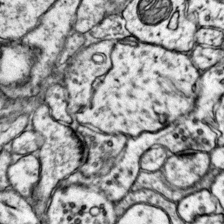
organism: Mouse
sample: Primary visual cortex